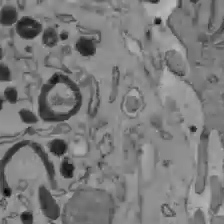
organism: C57BL Mouse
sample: Liver